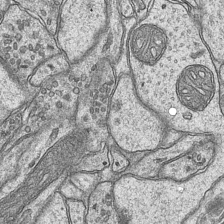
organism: Mouse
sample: CA1 Hippocampus